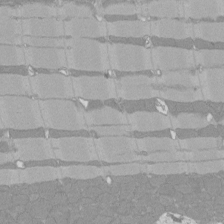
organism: Rat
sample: Left ventricle